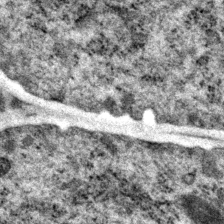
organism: P. pacificus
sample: Pharynx